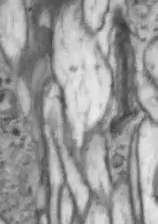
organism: Drosophila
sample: Optic lobe